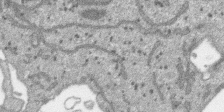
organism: Human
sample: Lung epithelial cells infected with SARS-CoV-2